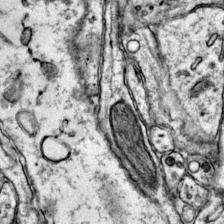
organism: Mouse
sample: Primary visual cortex